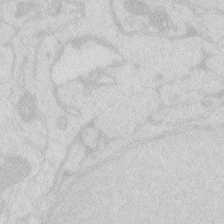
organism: Zebrafish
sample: Macrophage